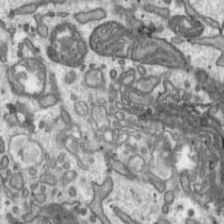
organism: Toxoplasma gondii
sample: Parasites in a vacuole inside a host cell